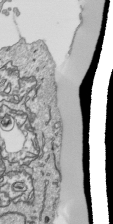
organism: Human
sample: Mitochondria in HCT116 cells